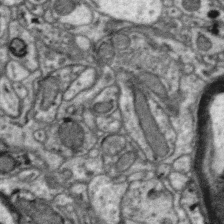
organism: Zebra finch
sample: Brain